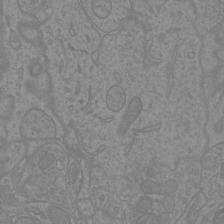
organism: Mouse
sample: Cortical neurons